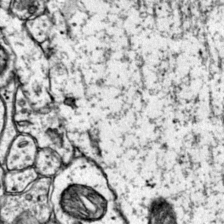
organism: Mouse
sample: Primary visual cortex